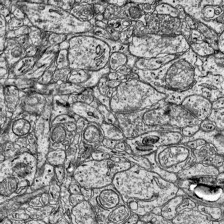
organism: Mouse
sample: Visual Cortex